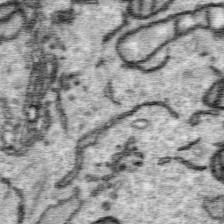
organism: Human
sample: HeLa cells